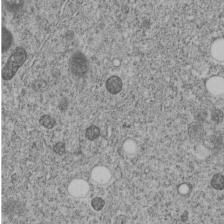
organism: C. elegans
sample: C. elegans embryo early stage